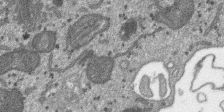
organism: Human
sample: Lung epithelial cells infected with SARS-CoV-2